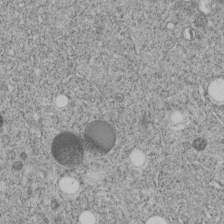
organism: C. elegans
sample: C. elegans embryo early stage